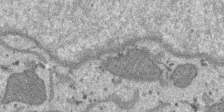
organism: Human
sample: Lung epithelial cells infected with SARS-CoV-2